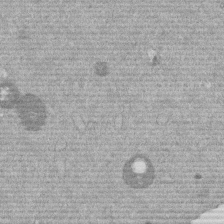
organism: Mouse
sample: Dividing mouse embryo 1 cell stage